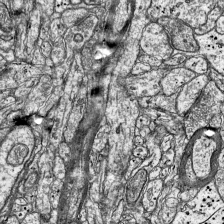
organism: Mouse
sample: Visual Cortex